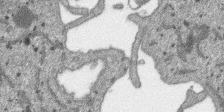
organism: Human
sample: Lung epithelial cells infected with SARS-CoV-2